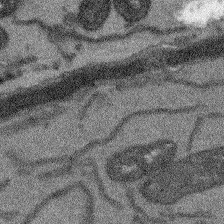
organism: Arabidopsis thaliana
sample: Root tip